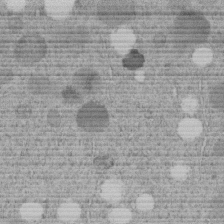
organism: C. elegans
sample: C. elegans embryo early stage